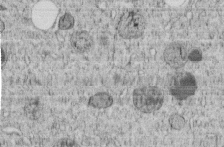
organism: C. elegans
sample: C. elegans embryo early stage